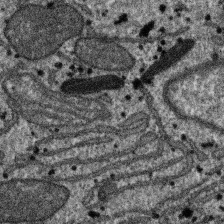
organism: Human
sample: Lung epithelial cells infected with SARS-CoV-2